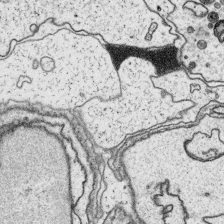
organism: Platynereis dumerilii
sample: Parapodia